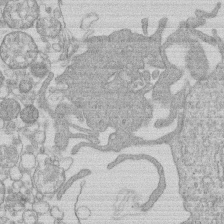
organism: Human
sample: Macrophage cells